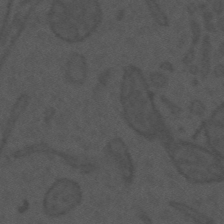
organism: Mouse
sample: Suprachiasmatic nucleus